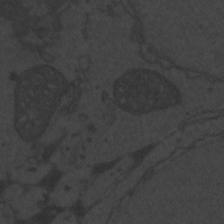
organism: Zebrafish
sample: Macrophage infected with Toxoplasma gondii